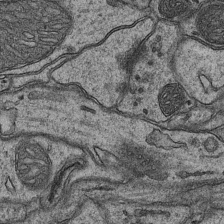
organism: Mouse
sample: CA1 Hippocampus